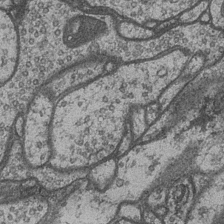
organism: Drosophila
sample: Optic medulla